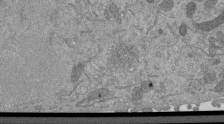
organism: Mouse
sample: ED-1 cell nuclei; centrioles